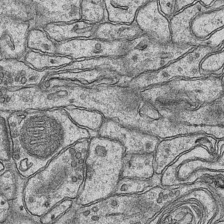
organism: Mouse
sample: CA1 Hippocampus